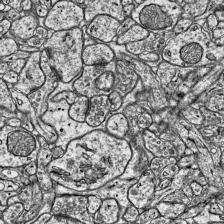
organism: Mouse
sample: Visual Cortex